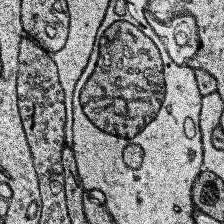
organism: Human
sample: Temporal Lobe